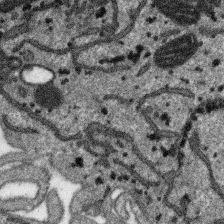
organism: Human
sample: Lung epithelial cells infected with SARS-CoV-2